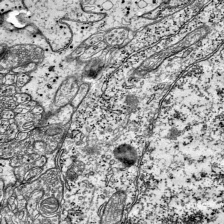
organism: Mouse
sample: Visual Cortex